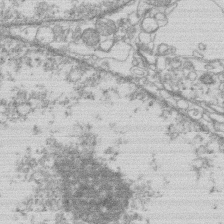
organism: Human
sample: Macrophage cells